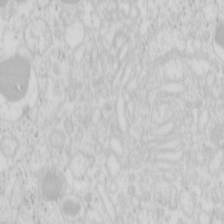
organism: Mouse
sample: Pancreas